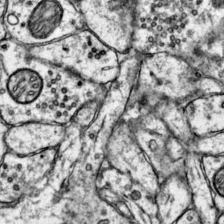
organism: Mouse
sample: Primary visual cortex